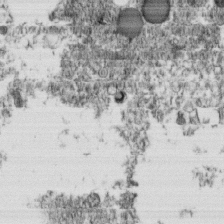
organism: C. elegans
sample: C. elegans embryo early stage